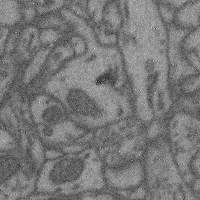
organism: Mouse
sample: Cerebral cortex